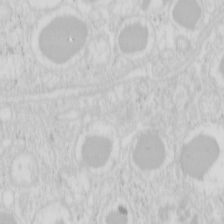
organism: Mouse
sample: Pancreas